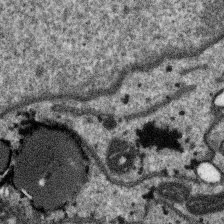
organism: Human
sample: Lung epithelial cells infected with SARS-CoV-2